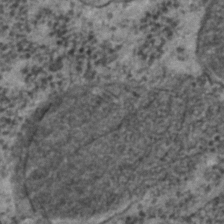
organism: C. elegans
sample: C. elegans embryo